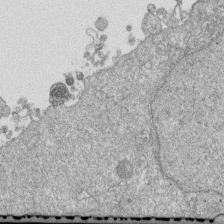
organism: Human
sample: HeLa cell HIV synapse